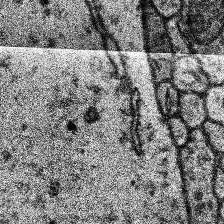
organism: Human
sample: Temporal Lobe